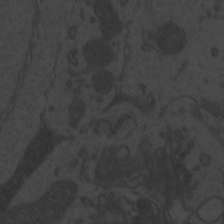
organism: Zebrafish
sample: Macrophage infected with Toxoplasma gondii